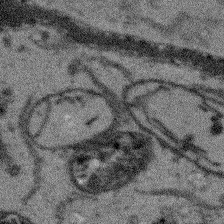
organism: Arabidopsis thaliana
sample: Root tip